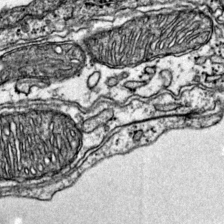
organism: Mouse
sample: Primary visual cortex